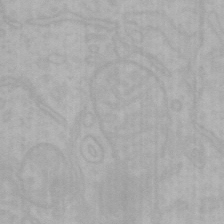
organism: Mouse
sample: Choroid plexus